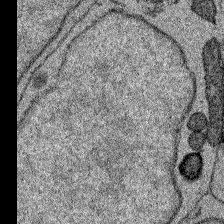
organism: Zebrafish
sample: Larval olfactory bulb